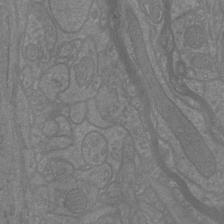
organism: Mouse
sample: Cortical neurons